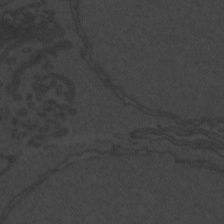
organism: Zebrafish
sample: Macrophage infected with Toxoplasma gondii